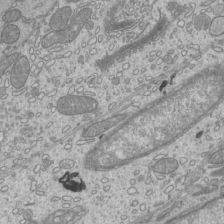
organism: Mouse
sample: Cilia; mouse epididymis